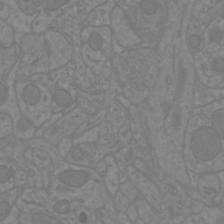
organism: Mouse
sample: Cortical neurons